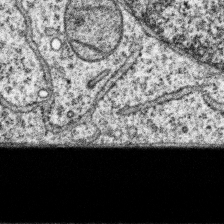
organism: Human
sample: HeLa cells